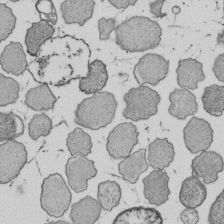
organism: E. coli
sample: Bacterial nucleoid